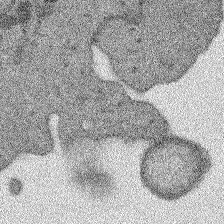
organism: Human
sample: HeLa cells